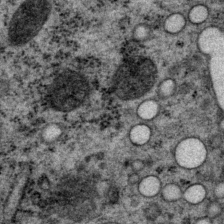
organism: P. pacificus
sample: Pharynx